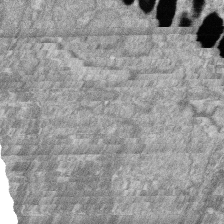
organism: Zebrafish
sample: Cilia; retinal pigment epithelium